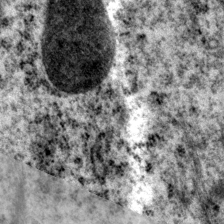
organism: P. pacificus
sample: Pharynx